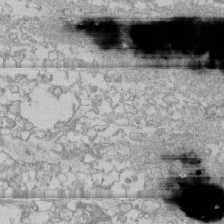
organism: Human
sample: CRL-1474